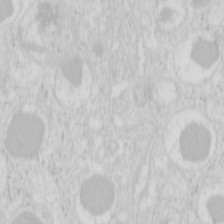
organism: Mouse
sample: Pancreas